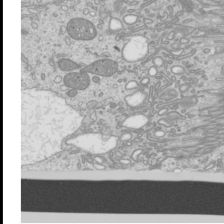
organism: Mouse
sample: Cilia; mouse epididymis